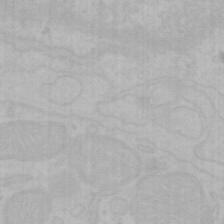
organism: Mouse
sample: Choroid plexus